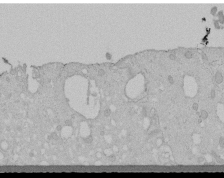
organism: Human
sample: Melanocyte Keratinocyte synapse skin construct